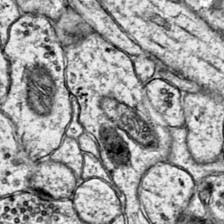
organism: Mouse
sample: Primary visual cortex